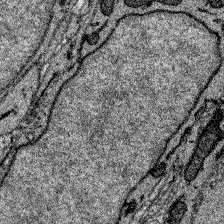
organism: Zebrafish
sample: Larval olfactory bulb